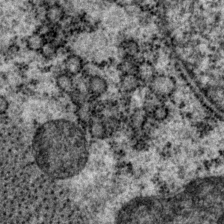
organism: P. pacificus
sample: Pharynx